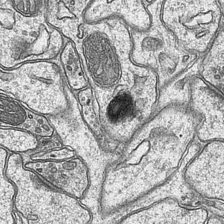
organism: Mouse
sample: CA1 Hippocampus